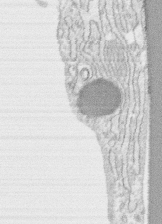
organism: Human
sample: CRL-1474